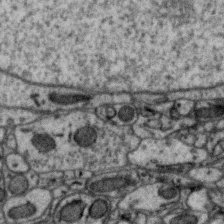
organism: Zebra finch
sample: Brain